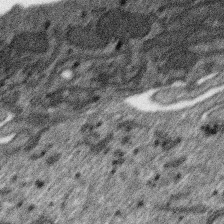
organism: Human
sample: Lung epithelial cells infected with SARS-CoV-2